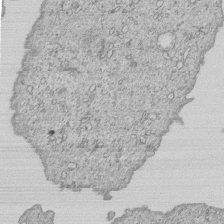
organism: Human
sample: MDA-MB-231 cells